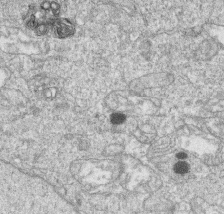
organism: Human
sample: HeLa cell HIV synapse